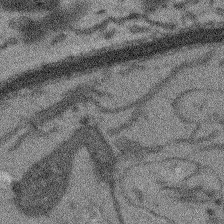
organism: Arabidopsis thaliana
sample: Root tip